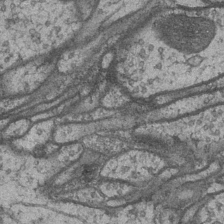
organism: Drosophila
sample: Optic medulla